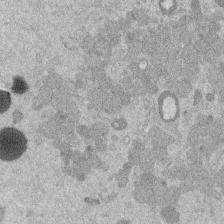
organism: Mouse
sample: Dividing mouse embryo 1 cell stage